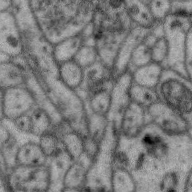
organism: Zebra finch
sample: Brain